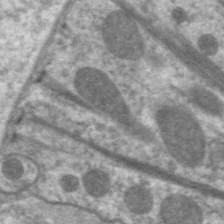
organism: C. elegans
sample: Pharynx